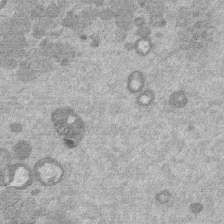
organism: Mouse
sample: Dividing mouse embryo 1 cell stage